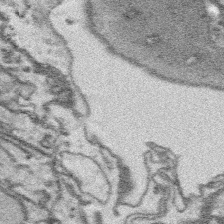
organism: Platynereis dumerilii